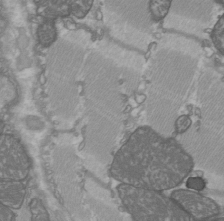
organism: C57BL Mouse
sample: Heart